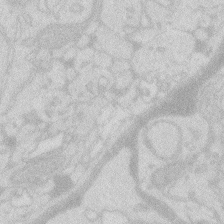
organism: Zebrafish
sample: Macrophage